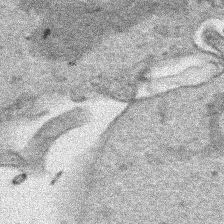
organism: Human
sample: Mitochondria in HCT116 cells